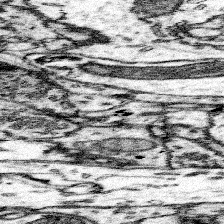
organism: Mouse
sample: Somatosensory cortex neuropil